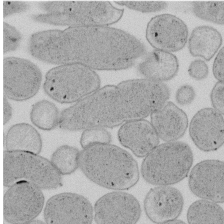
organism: E. coli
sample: Bacterial nucleoid